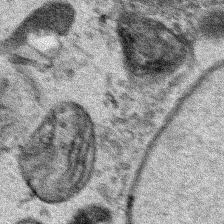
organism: Human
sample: Mitochondria in HCT116 cells